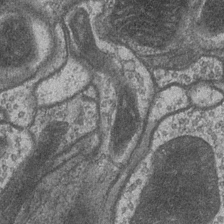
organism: Drosophila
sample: Optic medulla